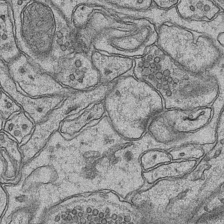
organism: Mouse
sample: CA1 Hippocampus